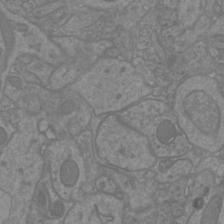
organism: Mouse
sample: Cortical neurons